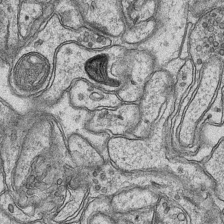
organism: Mouse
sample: CA1 Hippocampus